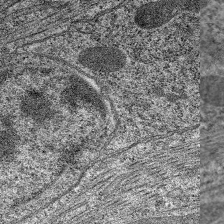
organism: C. elegans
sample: Pharynx